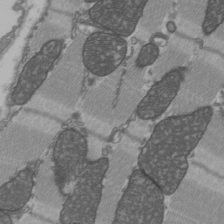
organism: C57BL Mouse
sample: Heart